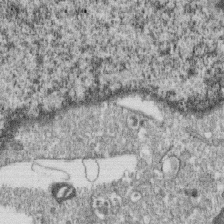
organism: African green monkey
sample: Vero E6 cells infected with SARS-CoV-2